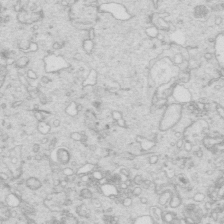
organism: Mouse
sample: Multiciliated cells